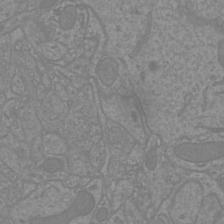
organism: Mouse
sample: Cortical neurons